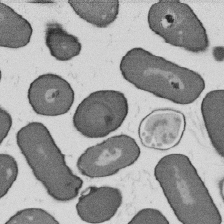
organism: B. subtilis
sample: Bacterial spore